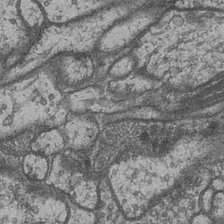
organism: Drosophila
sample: Optic medulla